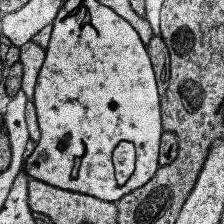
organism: Human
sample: Temporal Lobe